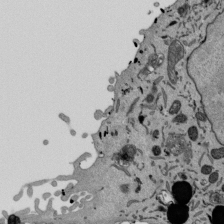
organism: Mouse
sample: ED-1 cell nuclei; centrioles